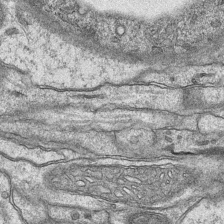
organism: Mouse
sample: CA1 Hippocampus